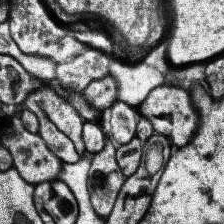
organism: Human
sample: Temporal Lobe